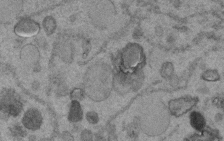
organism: C. elegans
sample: C. elegans embryo early stage